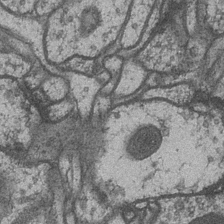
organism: Drosophila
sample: Optic medulla